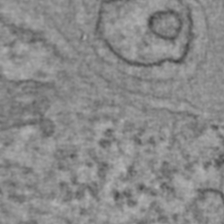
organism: Human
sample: Blood